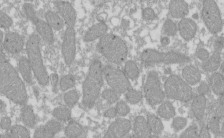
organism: Xenopus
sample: Cilia; centrioles in frog embryo cells